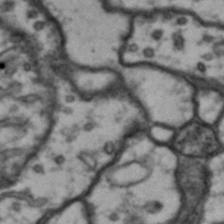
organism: Drosophila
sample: Brain